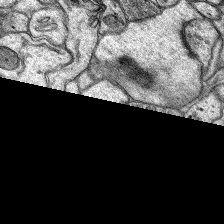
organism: Rat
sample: Hippocampus